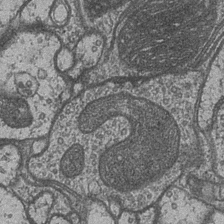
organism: Drosophila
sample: Optic medulla